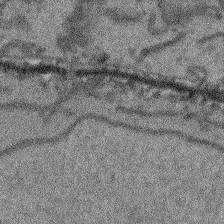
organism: Arabidopsis thaliana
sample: Root tip